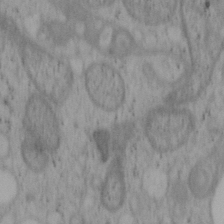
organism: Mouse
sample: OT-I killer T cells with ID8 ovarian cancer cells